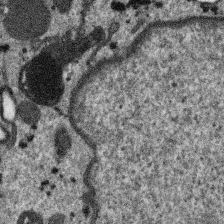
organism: Human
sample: Lung epithelial cells infected with SARS-CoV-2